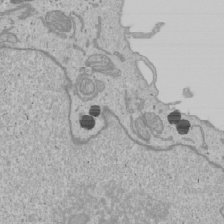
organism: Human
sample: Mitochondria in U2OS cells